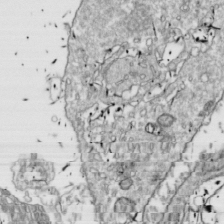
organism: Drosophila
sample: Cell division; meiosis; drosophila spermatocytes